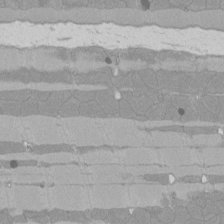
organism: Rat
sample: Left ventricle